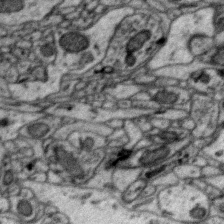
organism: Zebra finch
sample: Brain